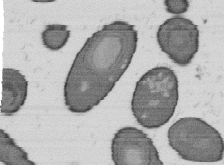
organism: B. subtilis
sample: Bacterial spore